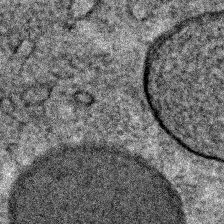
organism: C. elegans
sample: C. elegans embryo